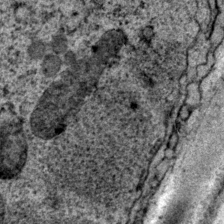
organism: P. pacificus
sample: Pharynx